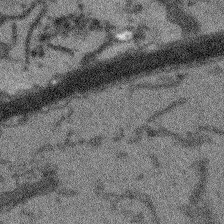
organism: Arabidopsis thaliana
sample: Root tip